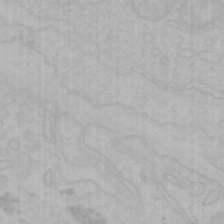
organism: Mouse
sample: Choroid plexus